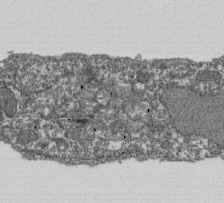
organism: Dictyostelium discoideum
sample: Dictyostelium multivesicular bodies